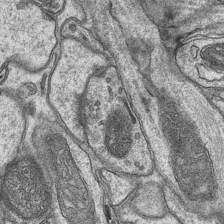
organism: Mouse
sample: CA1 Hippocampus